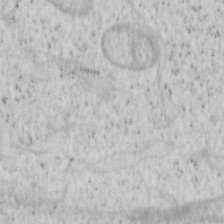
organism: Human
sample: HeLa cells